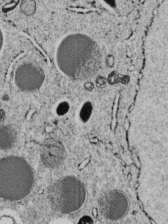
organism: C. elegans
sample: C. elegans embryo early stage